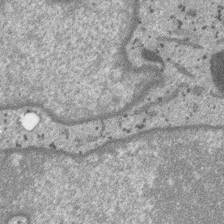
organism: Human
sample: Lung epithelial cells infected with SARS-CoV-2